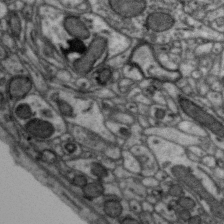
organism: Zebra finch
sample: Brain